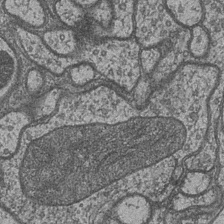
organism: Drosophila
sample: Optic medulla